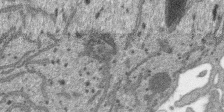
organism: Human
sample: Lung epithelial cells infected with SARS-CoV-2